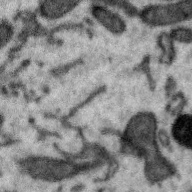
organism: Zebra finch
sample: Brain